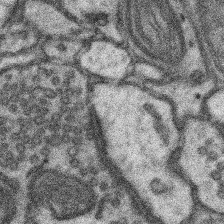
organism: Mouse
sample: Somatosensory cortex neuropil